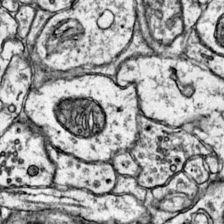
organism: Mouse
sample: Primary visual cortex